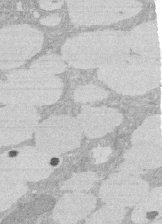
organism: Rat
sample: Salivary granule